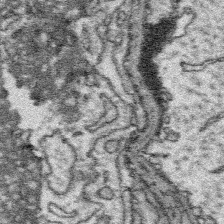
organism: Platynereis dumerilii